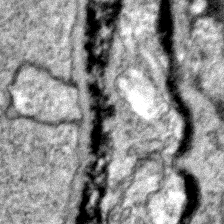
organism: Zebrafish